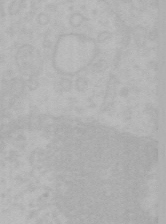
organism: Mouse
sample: Choroid plexus